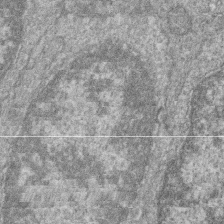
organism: Zebrafish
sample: Cilia; retinal pigment epithelium